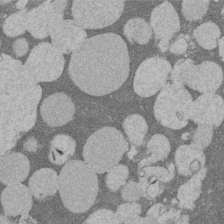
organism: Rat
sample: Salivary granule